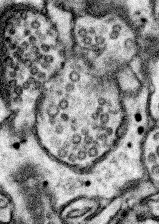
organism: Mouse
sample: Somatosensory cortex neuropil